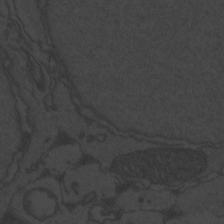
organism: Zebrafish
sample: Macrophage infected with Toxoplasma gondii